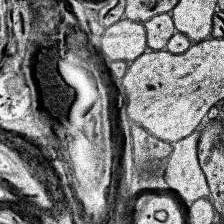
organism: Human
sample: Temporal Lobe